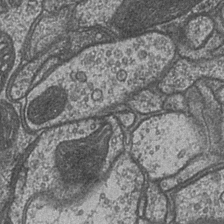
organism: Drosophila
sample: Optic medulla